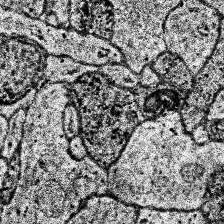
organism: Human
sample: Temporal Lobe